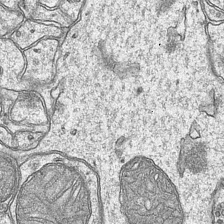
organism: Mouse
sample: CA1 Hippocampus